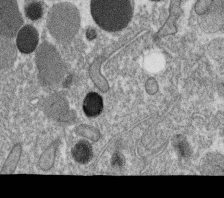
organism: C. elegans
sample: C. elegans oocyte; sperm cells